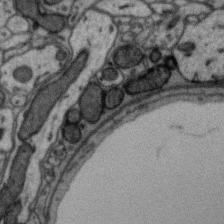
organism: Zebra finch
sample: Brain